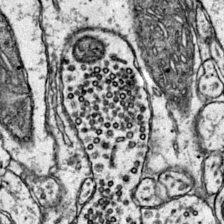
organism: Mouse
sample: Primary visual cortex